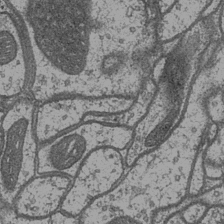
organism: Drosophila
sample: Optic medulla